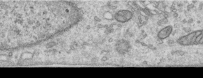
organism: Human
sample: Centriole in RPE cells